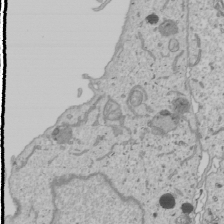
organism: Human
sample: Mitochondria in U2OS cells